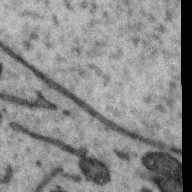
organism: Zebra finch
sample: Brain